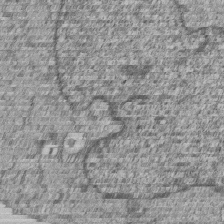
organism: Human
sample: MDA-MB-231 cells